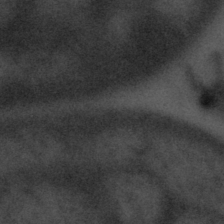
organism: Tuwongella immobilis